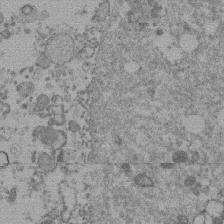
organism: Mouse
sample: Dividing mouse embryo 1 cell stage